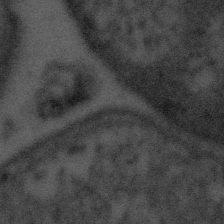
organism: Tuwongella immobilis